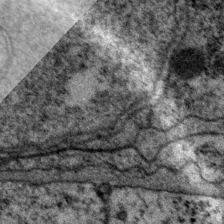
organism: P. pacificus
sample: Pharynx